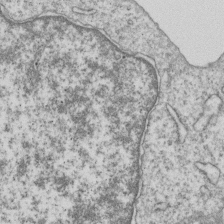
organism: Human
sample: MDA-MB-231 cells